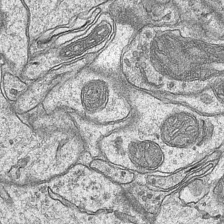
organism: Mouse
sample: CA1 Hippocampus